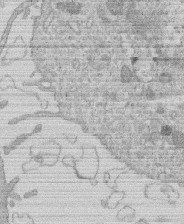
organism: Human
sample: Macrophage cells